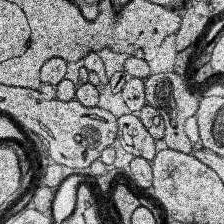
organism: Human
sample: Temporal Lobe